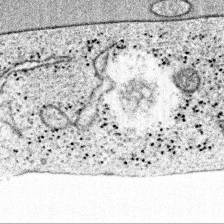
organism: Human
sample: HeLa cells